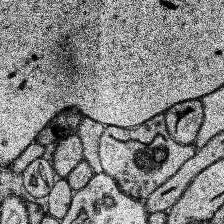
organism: Human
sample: Temporal Lobe